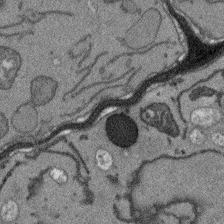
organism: Arabidopsis thaliana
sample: Root tip